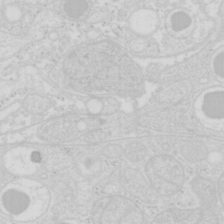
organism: Mouse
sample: Pancreas